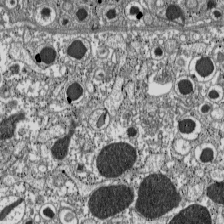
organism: C57BL Mouse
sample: Pancreatic islet